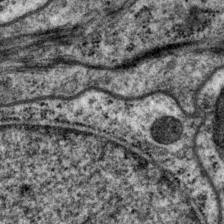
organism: P. pacificus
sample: Pharynx